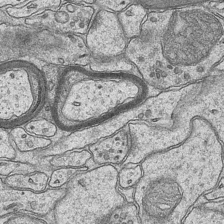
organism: Mouse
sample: CA1 Hippocampus